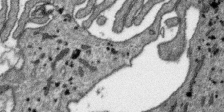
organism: Human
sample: Lung epithelial cells, uninfected (mock) control